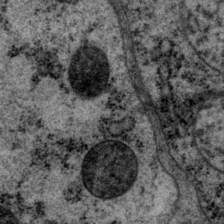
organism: P. pacificus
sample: Pharynx